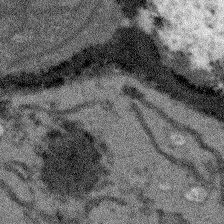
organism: Arabidopsis thaliana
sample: Root tip